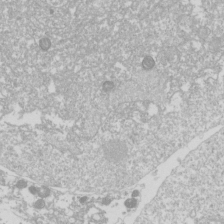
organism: Drosophila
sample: Cell division; meiosis; drosophila spermatocytes